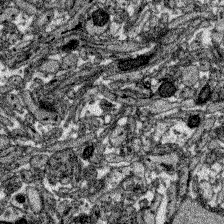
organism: Zebrafish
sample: Larval olfactory bulb